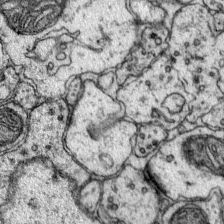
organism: Mouse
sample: Primary visual cortex